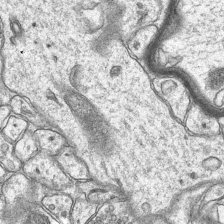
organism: Mouse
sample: CA1 Hippocampus